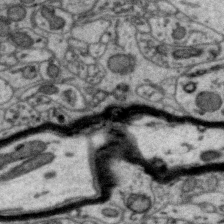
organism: Zebra finch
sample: Brain